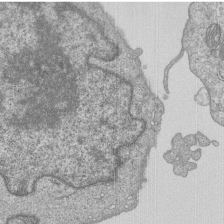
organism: Human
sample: MDA-MB-231 cells